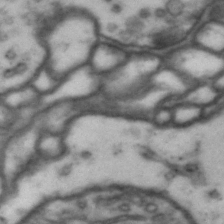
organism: Drosophila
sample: Brain